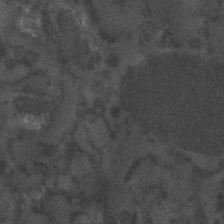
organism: C. elegans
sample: C. elegans embryo